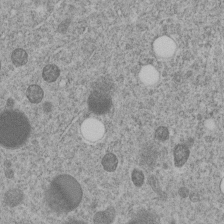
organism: C. elegans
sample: C. elegans embryo early stage